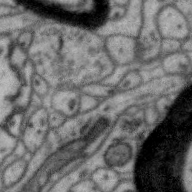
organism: Zebra finch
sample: Brain